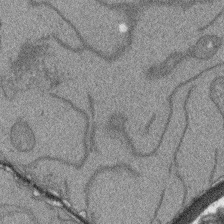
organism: Arabidopsis thaliana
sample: Root tip